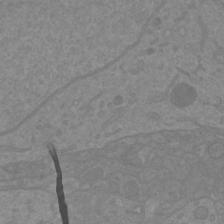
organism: Mouse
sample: Cortical neurons